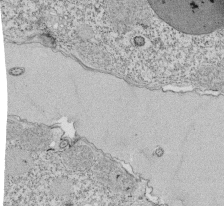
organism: Tetrahymena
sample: Cilia in tetrahymena